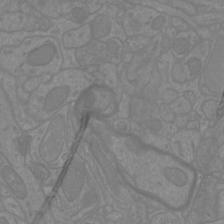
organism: Mouse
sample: Cortical neurons